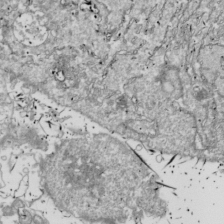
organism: Drosophila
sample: Cell division; meiosis; drosophila spermatocytes